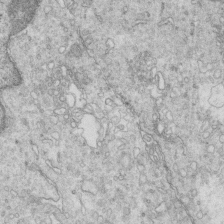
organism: Mouse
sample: Multiciliated cells